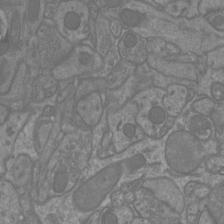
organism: Mouse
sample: Cortical neurons